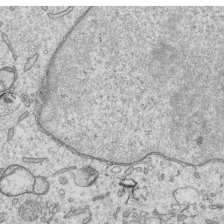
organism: Human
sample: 1205lu cells